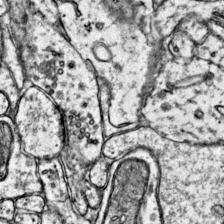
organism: Mouse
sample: Primary visual cortex